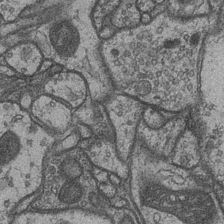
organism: Drosophila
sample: Optic medulla